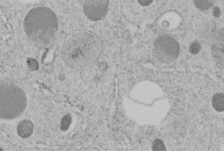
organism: C. elegans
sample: C. elegans embryo early stage